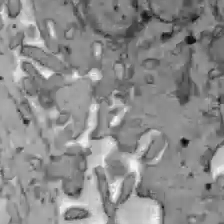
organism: C57BL Mouse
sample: Liver